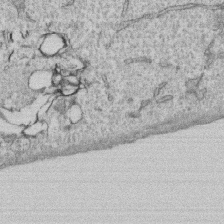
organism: Human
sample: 1205lu cells